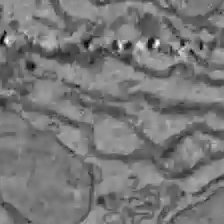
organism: C57BL Mouse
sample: Liver